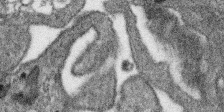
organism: Human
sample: Lung epithelial cells infected with SARS-CoV-2